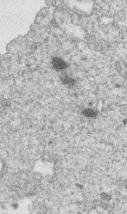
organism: Human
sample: HeLa cell HIV synapse